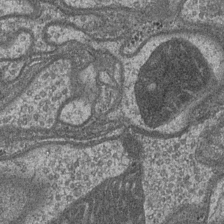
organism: Drosophila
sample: Optic medulla